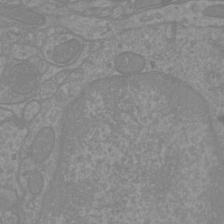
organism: Mouse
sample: Cortical neurons